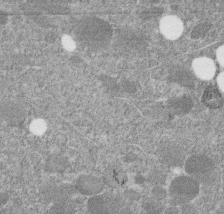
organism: C. elegans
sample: C. elegans embryo early stage